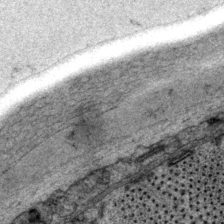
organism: P. pacificus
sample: Pharynx